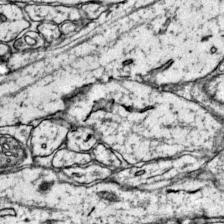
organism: Mouse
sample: Primary visual cortex